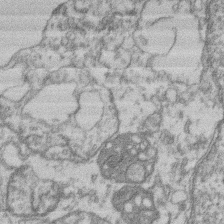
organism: Mouse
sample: T cell stromal cell synapse